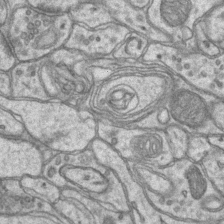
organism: Mouse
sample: CA1 Hippocampus